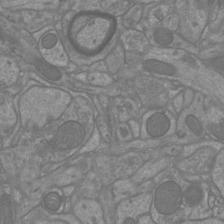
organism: Mouse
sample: Cortical neurons